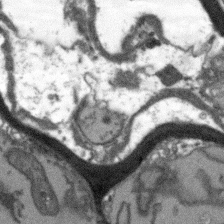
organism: Arabidopsis thaliana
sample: Root tip